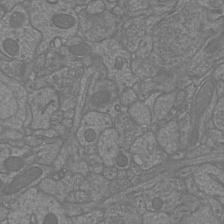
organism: Mouse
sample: Cortical neurons